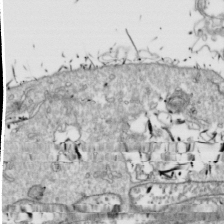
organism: Drosophila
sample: Cell division; meiosis; drosophila spermatocytes